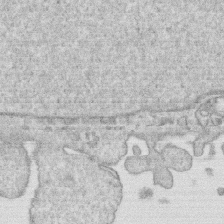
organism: Human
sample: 1205lu cells